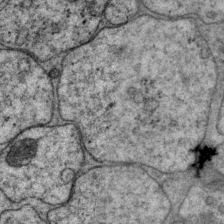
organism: P. pacificus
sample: Pharynx